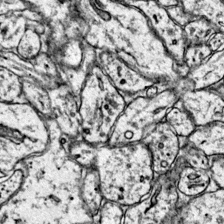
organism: Mouse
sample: Primary visual cortex